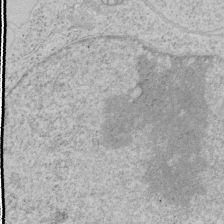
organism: Human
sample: Mitochondria in HCT116 cells